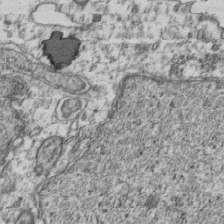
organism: Human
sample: Activated Jurkat CD4+ T cells